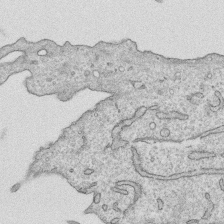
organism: Human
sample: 1205lu cells